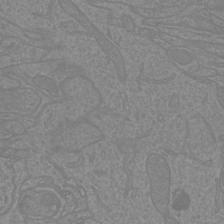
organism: Mouse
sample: Cortical neurons